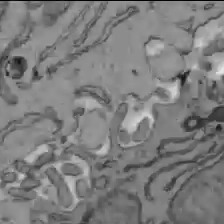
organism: C57BL Mouse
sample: Liver